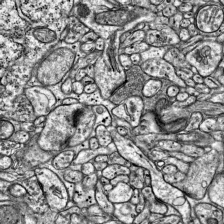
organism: Mouse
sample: Visual Cortex